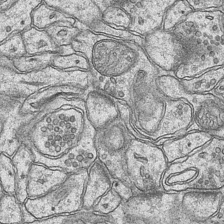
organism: Mouse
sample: CA1 Hippocampus